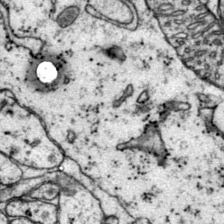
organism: Mouse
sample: Primary visual cortex